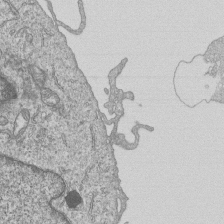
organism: Human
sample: MDA-MB-231 cells